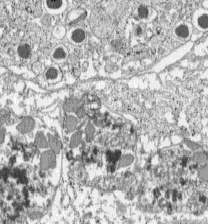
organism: C57BL Mouse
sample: Pancreatic islet